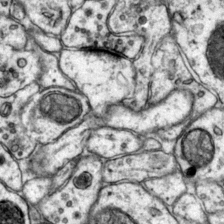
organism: Mouse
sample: Primary visual cortex